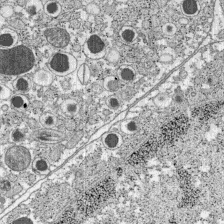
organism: C57BL Mouse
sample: Pancreatic islet